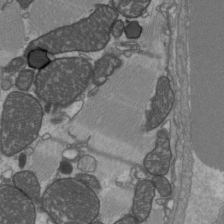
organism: C57BL Mouse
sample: Heart